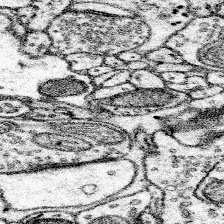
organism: Mouse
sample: Somatosensory cortex neuropil